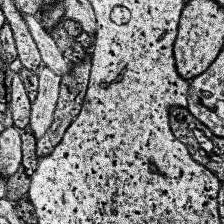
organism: Human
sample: Temporal Lobe